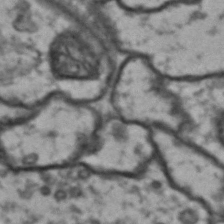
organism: Drosophila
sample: Brain